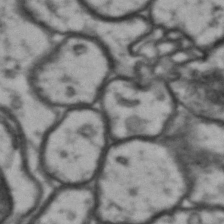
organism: Drosophila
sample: Brain